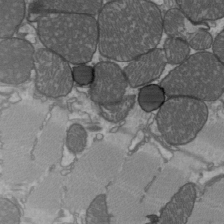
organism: C57BL Mouse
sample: Heart